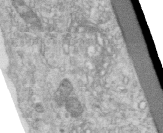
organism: Human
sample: Centriole in RPE cells